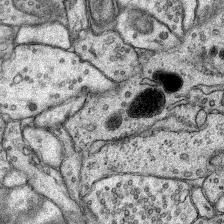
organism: Rat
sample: Hippocampus